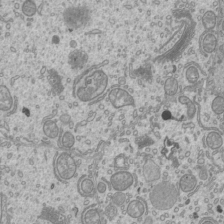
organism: Mouse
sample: Cilia; mouse epididymis